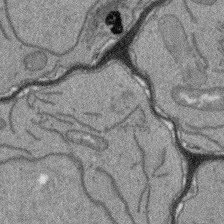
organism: Arabidopsis thaliana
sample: Root tip